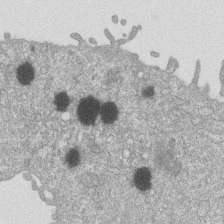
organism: Human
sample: HeLa cell HIV synapse